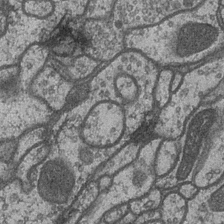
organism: Drosophila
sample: Optic medulla